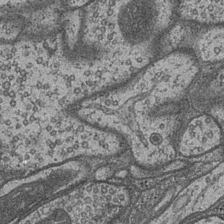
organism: Drosophila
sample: Optic medulla